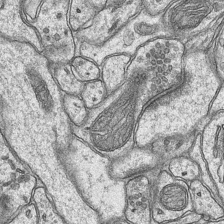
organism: Mouse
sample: CA1 Hippocampus